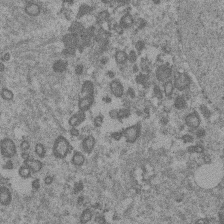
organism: Mouse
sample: Dividing mouse embryo 1 cell stage